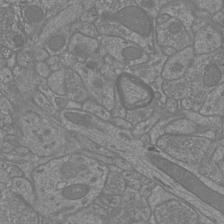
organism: Mouse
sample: Cortical neurons